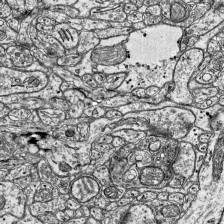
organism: Mouse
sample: Visual Cortex